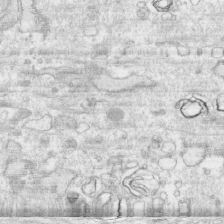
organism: Human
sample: CRL-1474